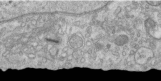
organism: Human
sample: Centriole in RPE cells